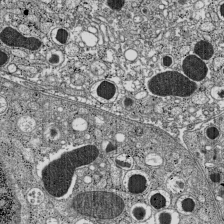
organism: C57BL Mouse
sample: Pancreatic islet